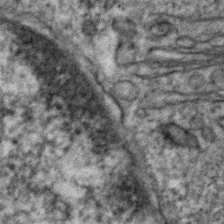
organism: Human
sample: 1205lu cells